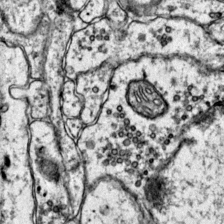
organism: Mouse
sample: Primary visual cortex